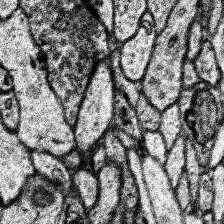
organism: Human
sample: Temporal Lobe